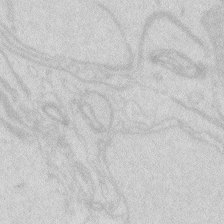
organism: Zebrafish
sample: Macrophage